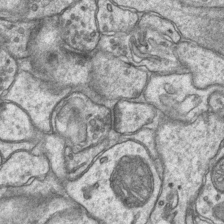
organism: Mouse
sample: CA1 Hippocampus